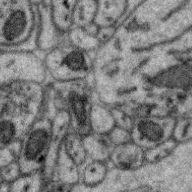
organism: Zebra finch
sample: Brain